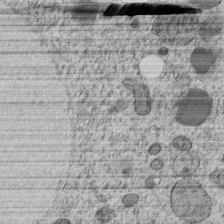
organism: C. elegans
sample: C. elegans embryo early stage